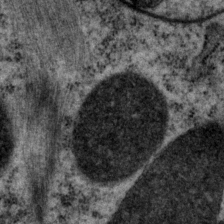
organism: P. pacificus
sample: Pharynx